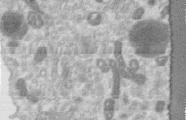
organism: Human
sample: Centriole in RPE cells